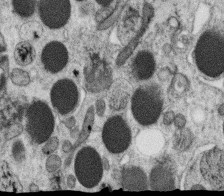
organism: C. elegans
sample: C. elegans oocyte; sperm cells